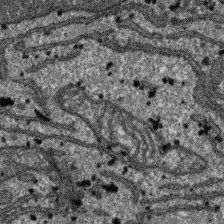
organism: Human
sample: Lung epithelial cells infected with SARS-CoV-2